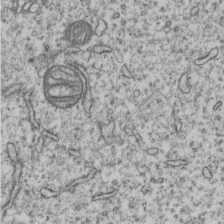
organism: Human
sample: MDA-MB-231 cells